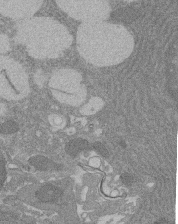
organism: Rat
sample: Salivary granule